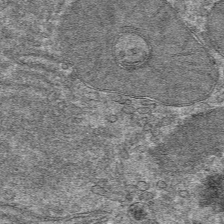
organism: Mouse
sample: Mouse hepatocytes